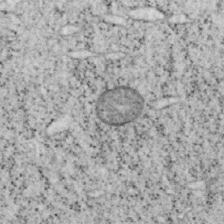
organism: Mouse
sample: OT-I killer T cells with ID8 ovarian cancer cells